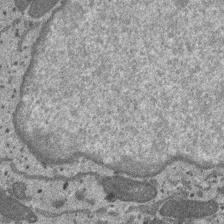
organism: Human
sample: Lung epithelial cells infected with SARS-CoV-2